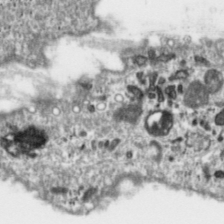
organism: Toxoplasma gondii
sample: Parasites in a vacuole inside a host cell